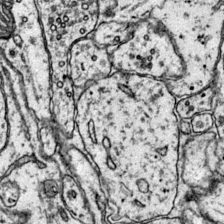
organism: Mouse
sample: Primary visual cortex